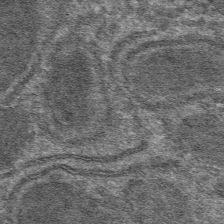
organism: Mouse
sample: Mouse hepatocytes